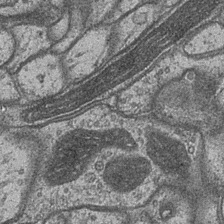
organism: Drosophila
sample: Optic medulla